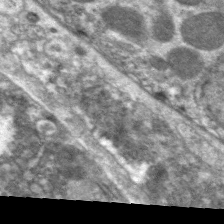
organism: C. elegans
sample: Pharynx